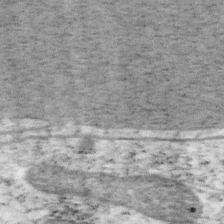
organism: Mouse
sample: OT-I killer T cells with ID8 ovarian cancer cells